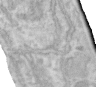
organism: Human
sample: Centriole in RPE cells